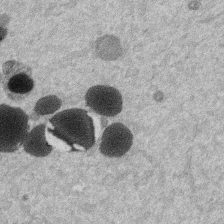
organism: Mouse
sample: Dividing mouse embryo 1 cell stage